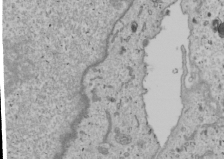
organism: Human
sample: Mitochondria in U2OS cells